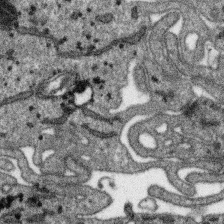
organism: Human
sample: Lung epithelial cells infected with SARS-CoV-2